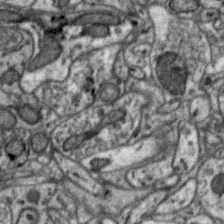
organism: Zebra finch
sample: Brain